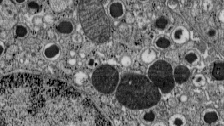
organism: C57BL Mouse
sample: Pancreatic islet